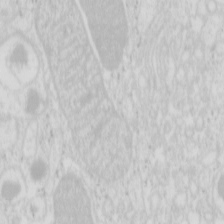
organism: Mouse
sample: Pancreas